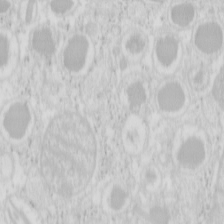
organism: Mouse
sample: Pancreas